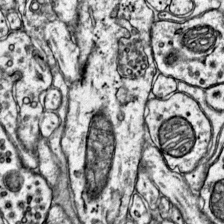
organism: Mouse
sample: Primary visual cortex